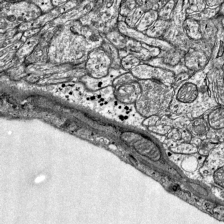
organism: Mouse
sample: Visual Cortex